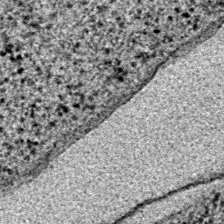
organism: E. coli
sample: E. Coli Bacteria